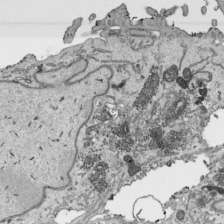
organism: Human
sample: Mitochondria in HCT116 cells